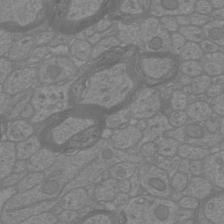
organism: Mouse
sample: Cortical neurons